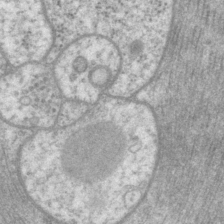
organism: P. pacificus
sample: Pharynx